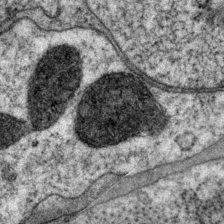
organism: P. pacificus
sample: Pharynx